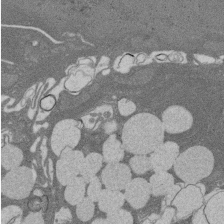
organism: Rat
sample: Salivary granule